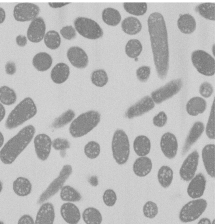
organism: E. coli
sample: Bacterial nucleoid